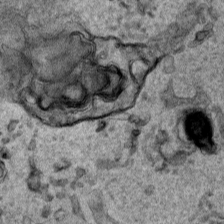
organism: Human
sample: Mitochondria in HCT116 cells